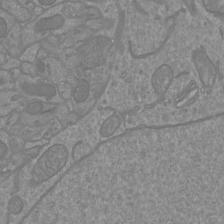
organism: Mouse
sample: Cortical neurons